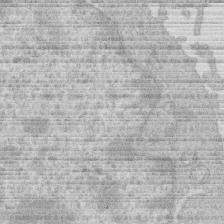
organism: Human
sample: Macrophage cells